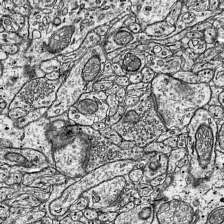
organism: Mouse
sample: Visual Cortex